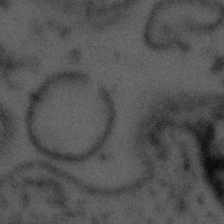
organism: Tuwongella immobilis